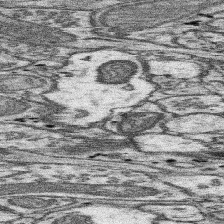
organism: Mouse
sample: Somatosensory cortex neuropil